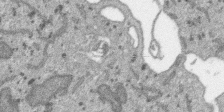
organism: Human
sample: Lung epithelial cells infected with SARS-CoV-2